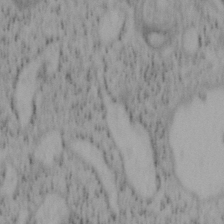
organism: Mouse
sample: OT-I killer T cells with ID8 ovarian cancer cells